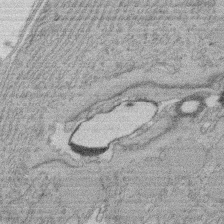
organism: Rat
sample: Salivary granule